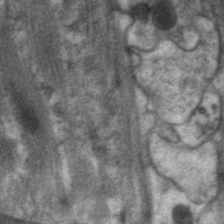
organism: C. elegans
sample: Pharynx